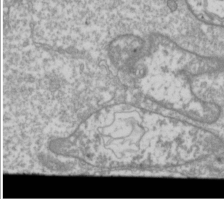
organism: Drosophila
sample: Cell division; meiosis; drosophila spermatocytes